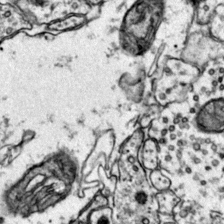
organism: Mouse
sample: Primary visual cortex